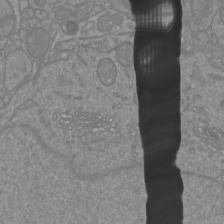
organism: Mouse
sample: Cortical neurons